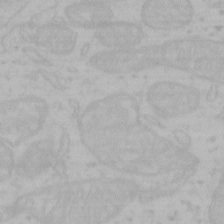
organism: Mouse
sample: Choroid plexus